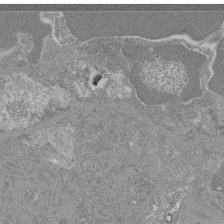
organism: Mouse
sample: Glomerulus